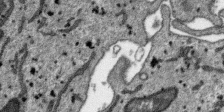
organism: Human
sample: Lung epithelial cells, uninfected (mock) control